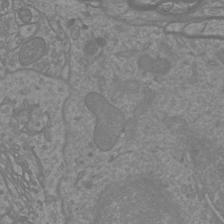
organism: Mouse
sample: Cortical neurons